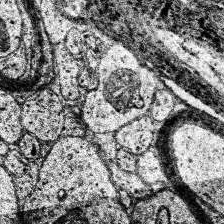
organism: Human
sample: Temporal Lobe